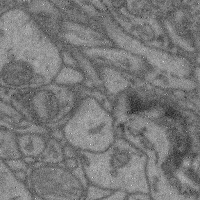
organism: Mouse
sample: Cerebral cortex